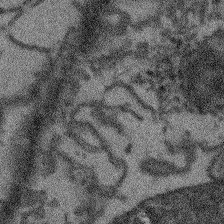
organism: Arabidopsis thaliana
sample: Root tip